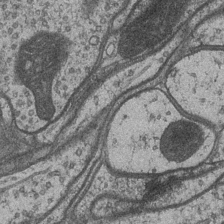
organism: Drosophila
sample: Optic medulla